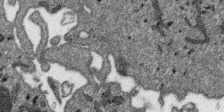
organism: Human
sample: Lung epithelial cells infected with SARS-CoV-2